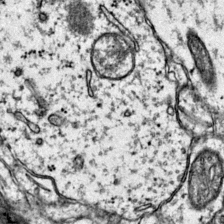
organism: Mouse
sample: Primary visual cortex